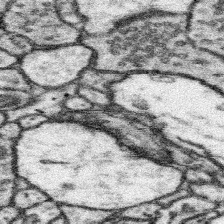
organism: Mouse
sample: Somatosensory cortex neuropil